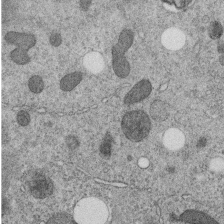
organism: C. elegans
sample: C. elegans embryo early stage